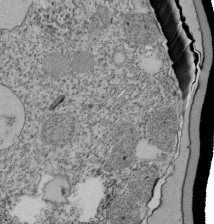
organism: Tetrahymena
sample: Cilia in tetrahymena